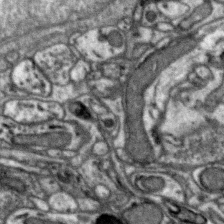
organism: Zebra finch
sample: Brain